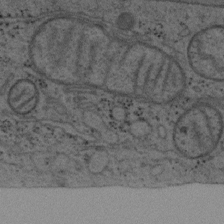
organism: Human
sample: HeLa cells